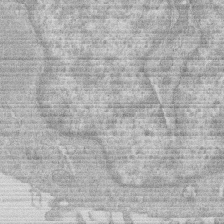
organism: Human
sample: Macrophage cells